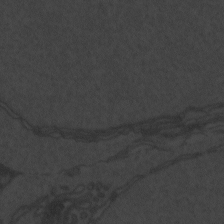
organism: Zebrafish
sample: Macrophage infected with Toxoplasma gondii